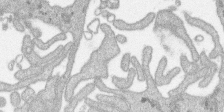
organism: Human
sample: Lung epithelial cells infected with SARS-CoV-2